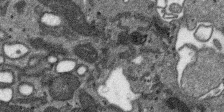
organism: Human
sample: Lung epithelial cells infected with SARS-CoV-2